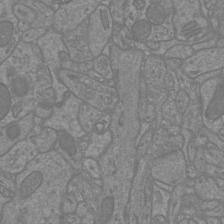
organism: Mouse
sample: Cortical neurons